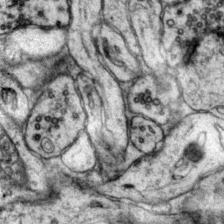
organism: Mouse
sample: Primary visual cortex